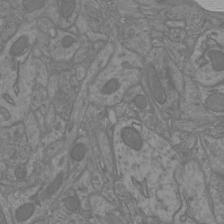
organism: Mouse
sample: Cortical neurons